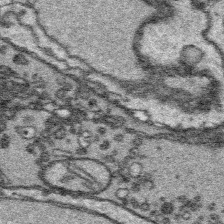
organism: Platynereis dumerilii